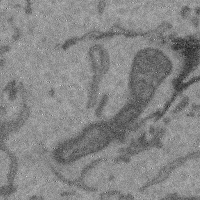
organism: Mouse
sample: Cerebral cortex